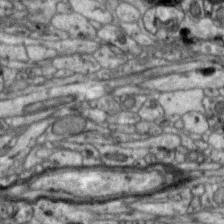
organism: Zebra finch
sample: Brain